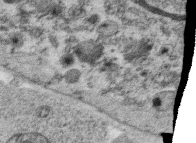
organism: C. elegans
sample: C. elegans oocyte; sperm cells